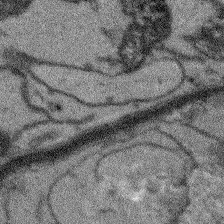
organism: Arabidopsis thaliana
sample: Root tip